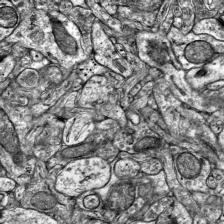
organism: Mouse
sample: Visual Cortex